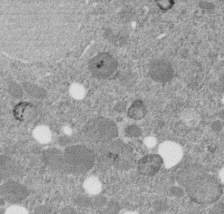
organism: C. elegans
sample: C. elegans embryo early stage